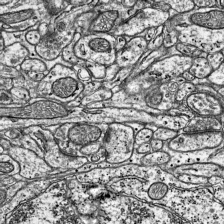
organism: Mouse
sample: Visual Cortex